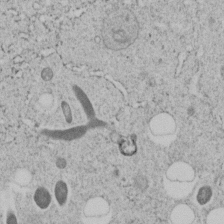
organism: C. elegans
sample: C. elegans embryo early stage